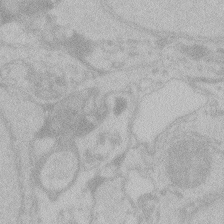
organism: Zebrafish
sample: Macrophage infected with Toxoplasma gondii